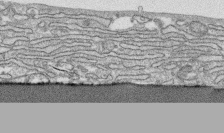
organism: Human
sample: CRL-1474